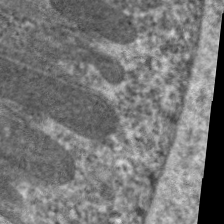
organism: C. elegans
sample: Pharynx